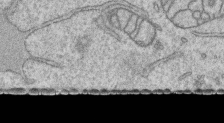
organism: Human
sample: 1205lu cells